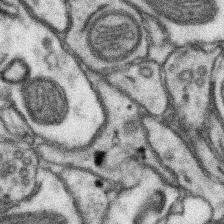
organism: Mouse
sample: Somatosensory cortex neuropil